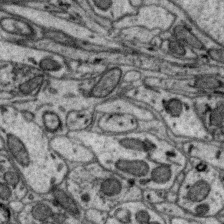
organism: Zebra finch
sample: Brain